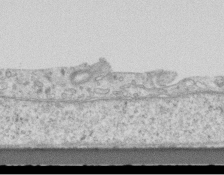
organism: Mouse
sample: Centriole in ependymal cells